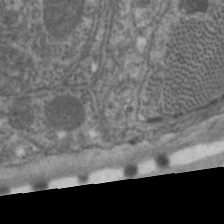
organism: C. elegans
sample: Pharynx